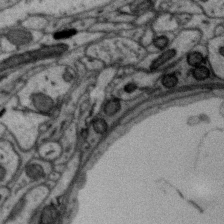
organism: Zebra finch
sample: Brain